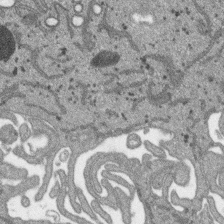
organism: Human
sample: Lung epithelial cells infected with SARS-CoV-2